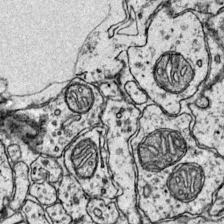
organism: Mouse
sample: Primary visual cortex